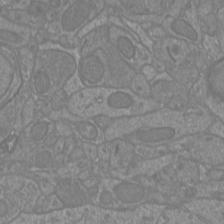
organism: Mouse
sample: Cortical neurons